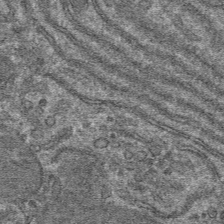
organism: Mouse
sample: Mouse hepatocytes